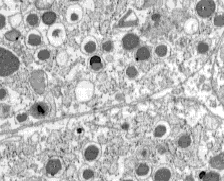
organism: C57BL Mouse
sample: Pancreatic islet